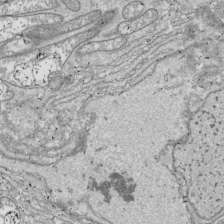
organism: Drosophila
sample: Cell division; meiosis; drosophila spermatocytes